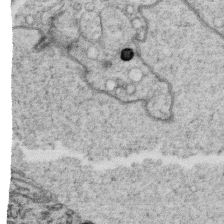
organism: C. elegans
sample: C. elegans oocyte; sperm cells